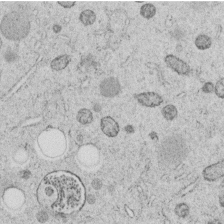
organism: C. elegans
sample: C. elegans embryo early stage